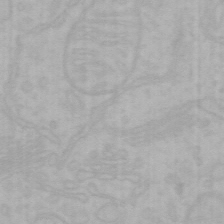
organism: Mouse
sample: Choroid plexus